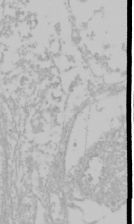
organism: Mouse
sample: Cancer cell death in ED-1 cells